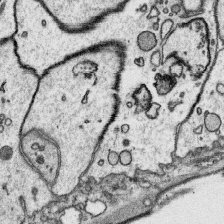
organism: Platynereis dumerilii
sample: Parapodia